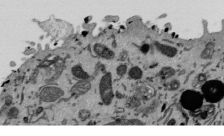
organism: Mouse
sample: ED-1 cell nuclei; centrioles